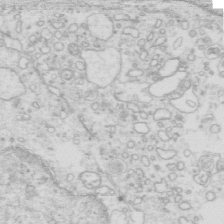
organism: Mouse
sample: Multiciliated cells